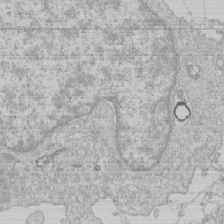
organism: Human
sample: Macrophage cells